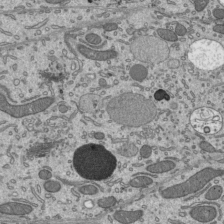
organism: Mouse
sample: Mouse epididymis efferent ductule cilia